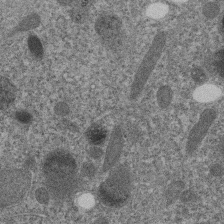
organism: C. elegans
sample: C. elegans embryo early stage